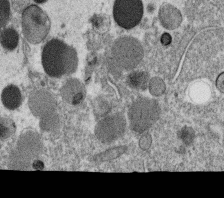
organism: C. elegans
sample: C. elegans oocyte; sperm cells